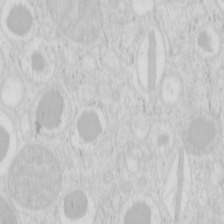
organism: Mouse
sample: Pancreas